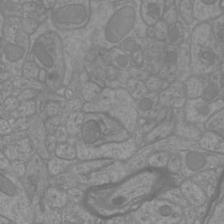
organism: Mouse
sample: Cortical neurons